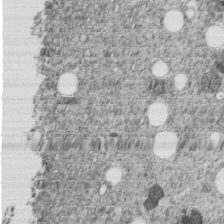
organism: C. elegans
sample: C. elegans embryo early stage